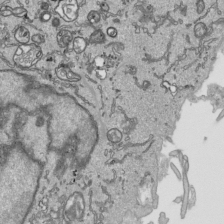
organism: Human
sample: Mitochondria in HCT116 cells